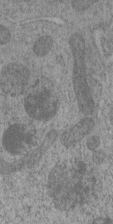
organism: C. elegans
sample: C. elegans embryo early stage